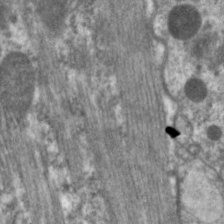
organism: C. elegans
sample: Pharynx